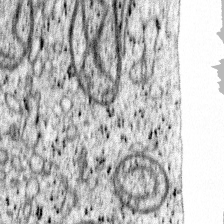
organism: Human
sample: HeLa cells